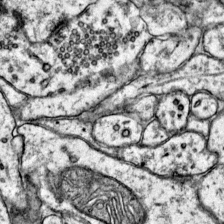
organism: Mouse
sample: Primary visual cortex